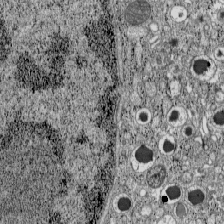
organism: C57BL Mouse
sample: Pancreatic islet